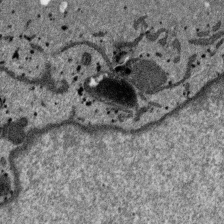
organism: Human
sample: Lung epithelial cells, uninfected (mock) control